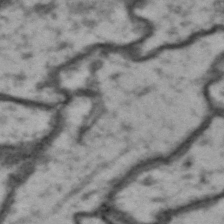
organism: Drosophila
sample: Brain